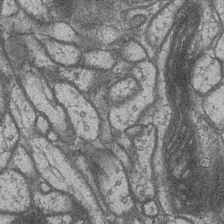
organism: Drosophila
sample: Optic medulla